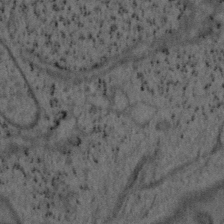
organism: Human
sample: HeLa cells